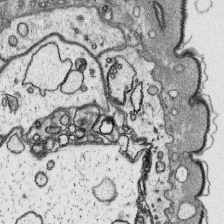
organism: Platynereis dumerilii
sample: Parapodia